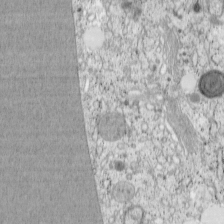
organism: African green monkey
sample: COS-7 cells